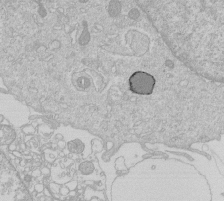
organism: Human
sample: Macrophage cells